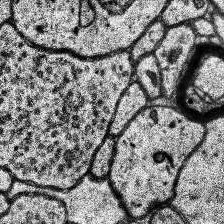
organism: Human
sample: Temporal Lobe